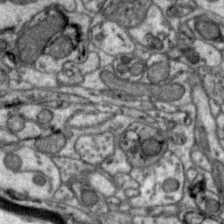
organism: Zebra finch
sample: Brain